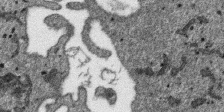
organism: Human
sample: Lung epithelial cells infected with SARS-CoV-2